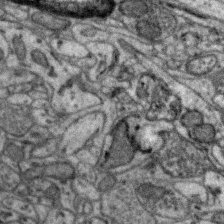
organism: Zebra finch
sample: Brain